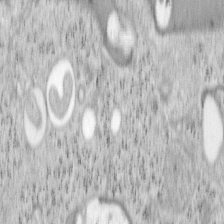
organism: Human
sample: HeLa cells